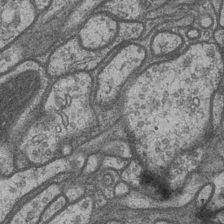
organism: Drosophila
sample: Optic medulla